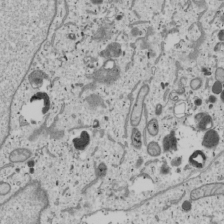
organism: Human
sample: Mitochondria in U2OS cells